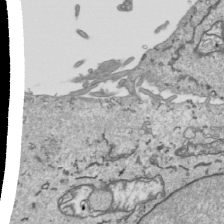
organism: Human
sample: Mitochondria in HCT116 cells